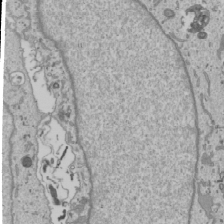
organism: Human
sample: Mitochondria in U2OS cells